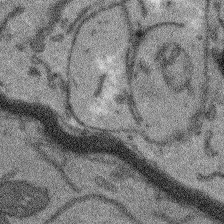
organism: Arabidopsis thaliana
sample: Root tip